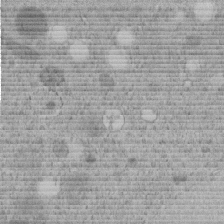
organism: C. elegans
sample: C. elegans embryo early stage